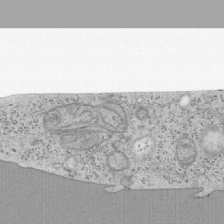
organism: Human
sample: HeLa cells